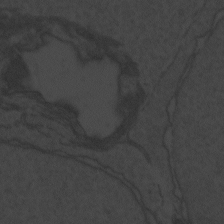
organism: Zebrafish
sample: Macrophage infected with Toxoplasma gondii